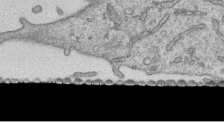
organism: Human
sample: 1205lu cells